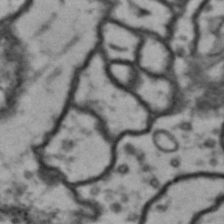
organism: Drosophila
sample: Brain